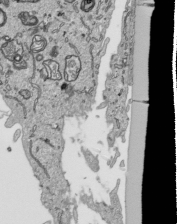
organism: Human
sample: Mitochondria in HCT116 cells